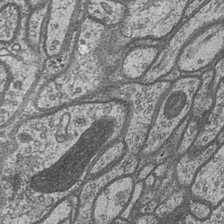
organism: Drosophila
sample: Optic medulla